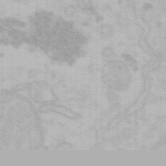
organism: Mouse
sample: Choroid plexus